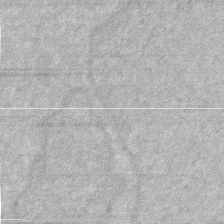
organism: Human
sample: HIV infected U937 cells